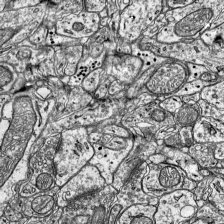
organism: Mouse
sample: Visual Cortex